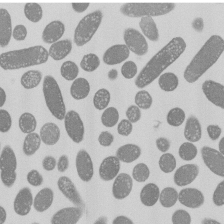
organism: E. coli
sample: Bacterial nucleoid